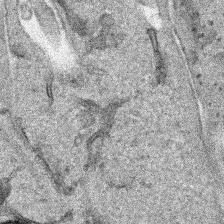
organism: Human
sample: Mitochondria in HCT116 cells